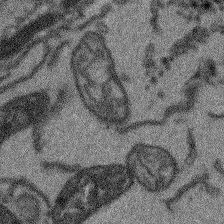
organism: Arabidopsis thaliana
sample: Root tip